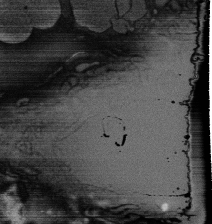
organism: Rat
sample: Salivary granule